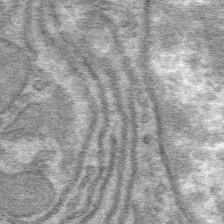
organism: Mouse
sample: Mouse hepatocytes